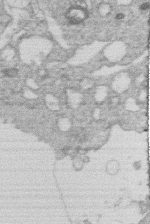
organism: Human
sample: Macrophage cells